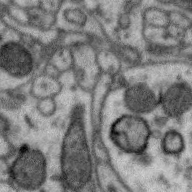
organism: Zebra finch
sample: Brain